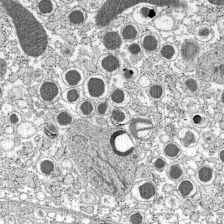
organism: C57BL Mouse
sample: Pancreatic islet